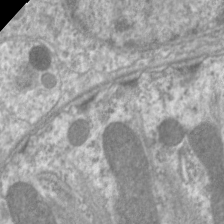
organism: C. elegans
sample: Pharynx